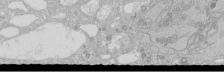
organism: Human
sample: Caco-2 cells